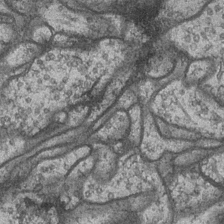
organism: Drosophila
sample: Optic medulla